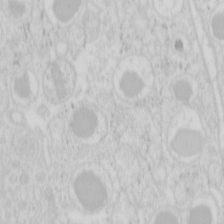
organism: Mouse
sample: Pancreas